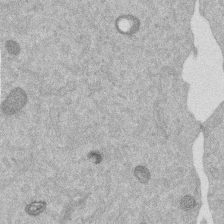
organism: Mouse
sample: Dividing mouse embryo 1 cell stage